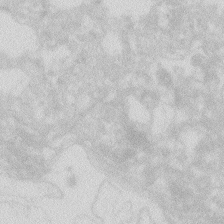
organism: Zebrafish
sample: Macrophage